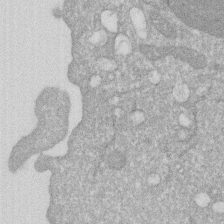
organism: Human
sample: HIV infected U937 cells